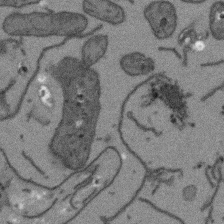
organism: Arabidopsis thaliana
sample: Root tip